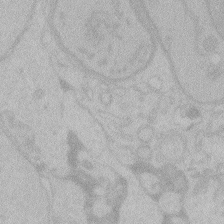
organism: Zebrafish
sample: Macrophage infected with Toxoplasma gondii